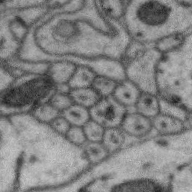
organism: Zebra finch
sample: Brain